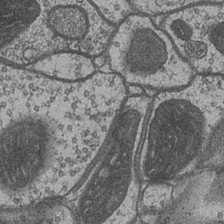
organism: Drosophila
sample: Optic medulla